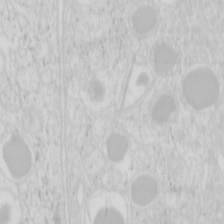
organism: Mouse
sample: Pancreas